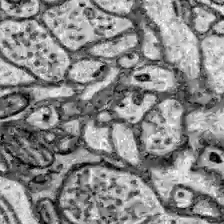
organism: Zebrafish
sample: Brain